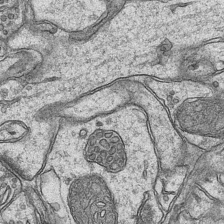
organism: Mouse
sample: CA1 Hippocampus